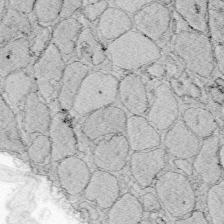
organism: Zebrafish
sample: Whole-Brain